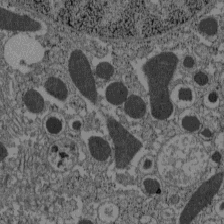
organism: C57BL Mouse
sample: Pancreatic islet